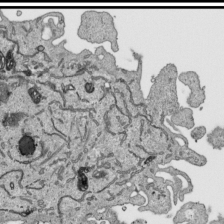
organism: Human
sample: Mitochondria in HCT116 cells